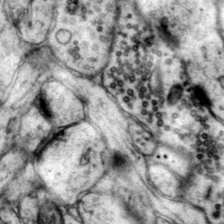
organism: Mouse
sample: Primary visual cortex